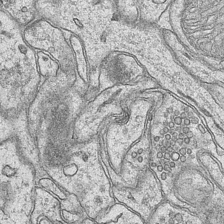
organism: Mouse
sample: CA1 Hippocampus